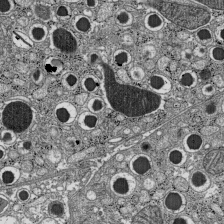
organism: C57BL Mouse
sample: Pancreatic islet